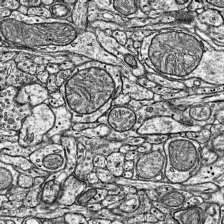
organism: Mouse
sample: Visual Cortex